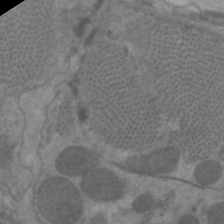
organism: C. elegans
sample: Pharynx